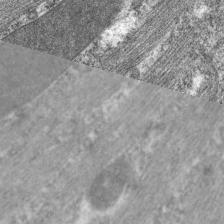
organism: C. elegans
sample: Pharynx